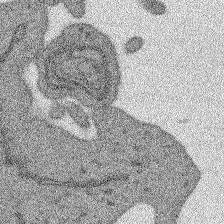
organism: Human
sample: HeLa cells